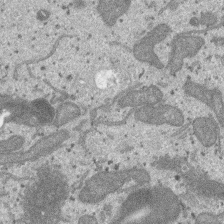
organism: Human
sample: Lung epithelial cells infected with SARS-CoV-2